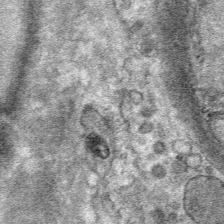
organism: Mouse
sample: Mouse Salivary gland